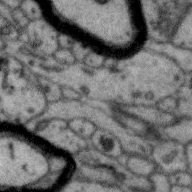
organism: Zebra finch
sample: Brain